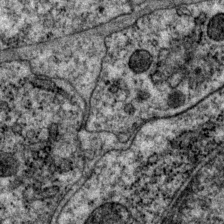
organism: P. pacificus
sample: Pharynx